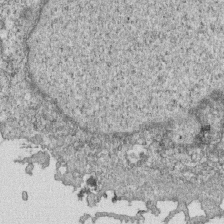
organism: Human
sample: HeLa cell HIV synapse